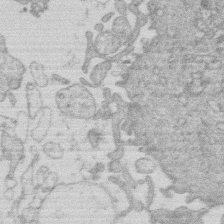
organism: Human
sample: Macrophage cells